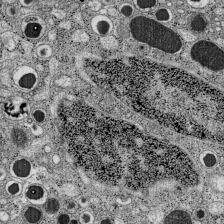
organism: C57BL Mouse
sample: Pancreatic islet